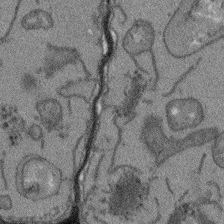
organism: Arabidopsis thaliana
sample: Root tip